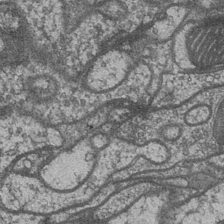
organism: Drosophila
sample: Optic medulla